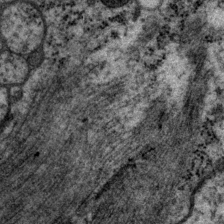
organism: P. pacificus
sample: Pharynx